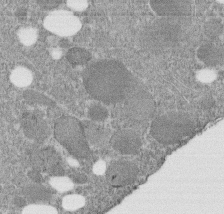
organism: C. elegans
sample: C. elegans embryo early stage